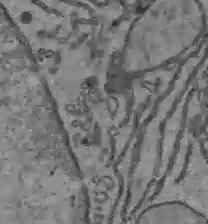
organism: C57BL Mouse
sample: Liver